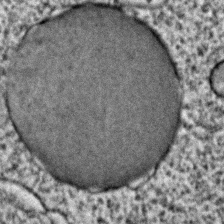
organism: C. elegans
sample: C. elegans embryo